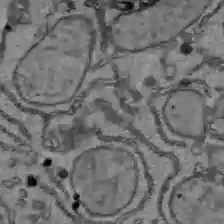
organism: C57BL Mouse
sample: Liver